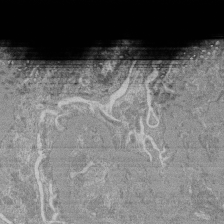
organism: Mouse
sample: Glomerulus